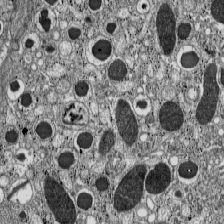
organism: C57BL Mouse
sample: Pancreatic islet